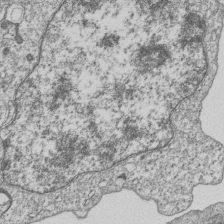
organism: Human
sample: MDA-MB-231 cells